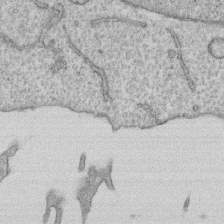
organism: Human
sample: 1205lu cells